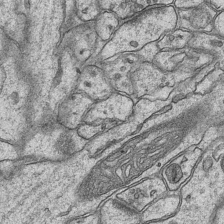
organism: Mouse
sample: CA1 Hippocampus